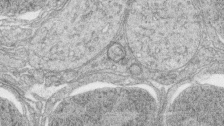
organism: Zebrafish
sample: synaptic ribbons in rod cells and cone cells